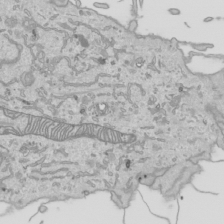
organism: Human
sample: Mitochondria in HCT116 cells